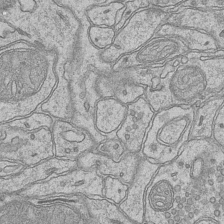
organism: Mouse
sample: CA1 Hippocampus